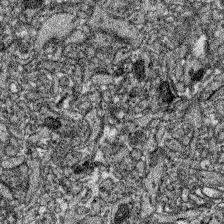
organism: Zebrafish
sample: Larval olfactory bulb